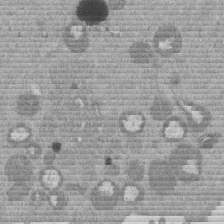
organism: Mouse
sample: Dividing mouse embryo 1 cell stage